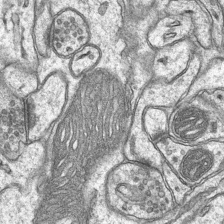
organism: Mouse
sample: CA1 Hippocampus